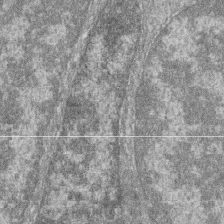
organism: Zebrafish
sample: Cilia; retinal pigment epithelium